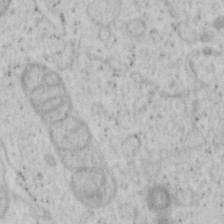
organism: Human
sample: HeLa cells